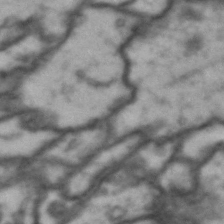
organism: Drosophila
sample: Brain